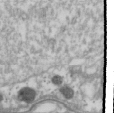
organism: Drosophila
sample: Cell division; meiosis; drosophila spermatocytes